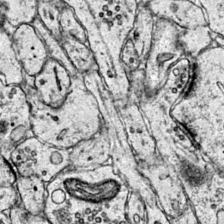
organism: Mouse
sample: Primary visual cortex